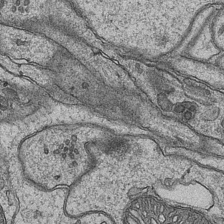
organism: Mouse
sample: CA1 Hippocampus